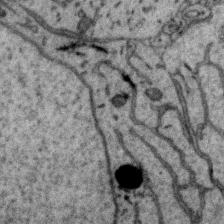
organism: Zebra finch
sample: Brain